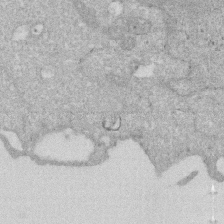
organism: Human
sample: HIV infected U937 cells